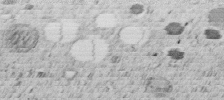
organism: C. elegans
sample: C. elegans embryo early stage